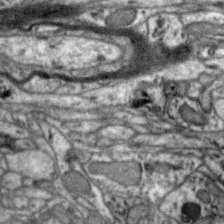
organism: Zebra finch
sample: Brain